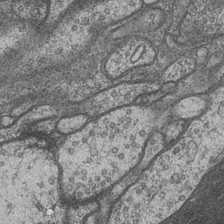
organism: Drosophila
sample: Optic medulla